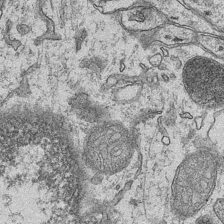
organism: Mouse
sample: CA1 Hippocampus